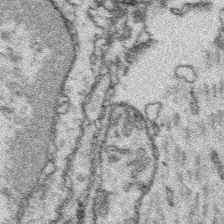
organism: Platynereis dumerilii